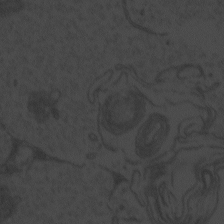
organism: Zebrafish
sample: Macrophage infected with Toxoplasma gondii